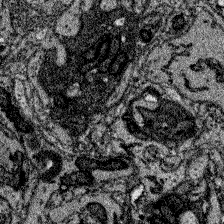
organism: Zebrafish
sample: Larval olfactory bulb